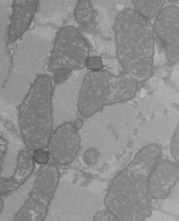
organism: C57BL Mouse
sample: Heart